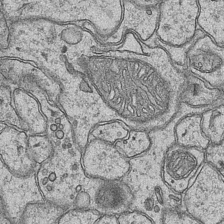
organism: Mouse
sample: CA1 Hippocampus